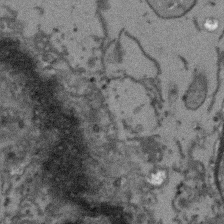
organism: Arabidopsis thaliana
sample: Root tip